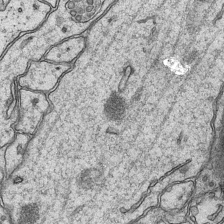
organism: Mouse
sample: CA1 Hippocampus